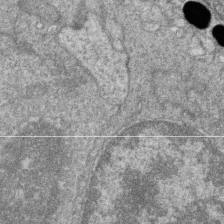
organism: Zebrafish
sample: Cilia; retinal pigment epithelium